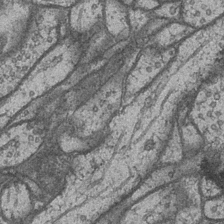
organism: Drosophila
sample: Optic medulla